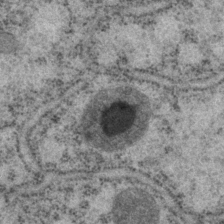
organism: P. pacificus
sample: Pharynx